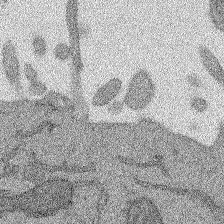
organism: Human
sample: HeLa cells